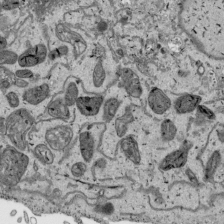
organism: Human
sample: Mitochondria in HCT116 cells